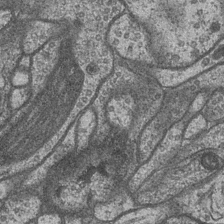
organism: Drosophila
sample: Optic medulla